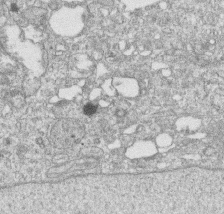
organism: Human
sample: HeLa cell HIV synapse